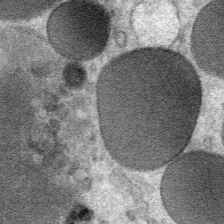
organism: Mouse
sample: Mouse Salivary gland